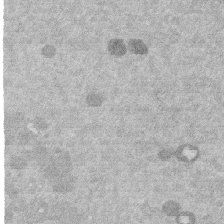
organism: Mouse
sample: Dividing mouse embryo 1 cell stage